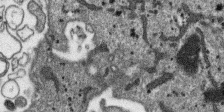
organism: Human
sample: Lung epithelial cells infected with SARS-CoV-2